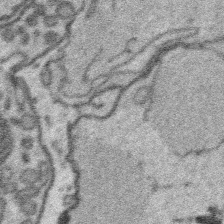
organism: Platynereis dumerilii